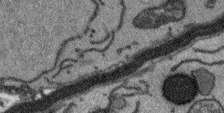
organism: Arabidopsis thaliana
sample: Root tip